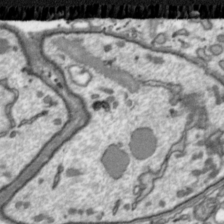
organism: Toxoplasma gondii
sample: Parasites in a vacuole inside a host cell